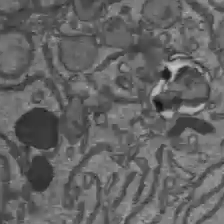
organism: C57BL Mouse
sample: Liver